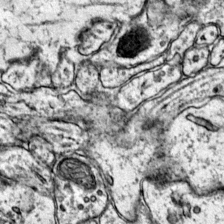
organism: Mouse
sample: Primary visual cortex